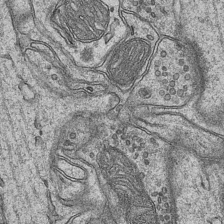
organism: Mouse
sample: CA1 Hippocampus